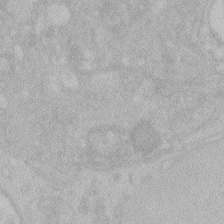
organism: Zebrafish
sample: Macrophage infected with Toxoplasma gondii